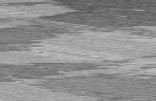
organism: C57BL Mouse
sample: Heart